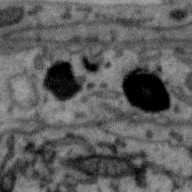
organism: Zebra finch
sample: Brain